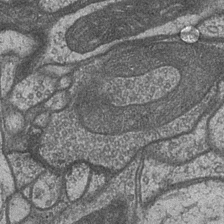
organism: Drosophila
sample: Optic medulla